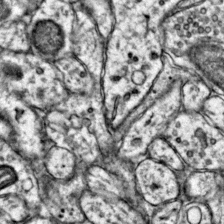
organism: Mouse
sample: Primary visual cortex